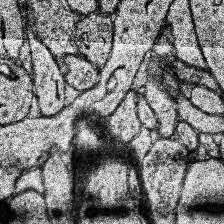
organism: Human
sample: Temporal Lobe